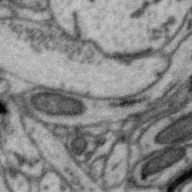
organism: Zebra finch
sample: Brain